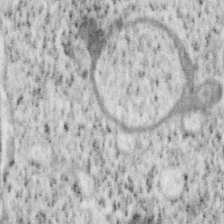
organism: Mouse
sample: OT-I killer T cells with ID8 ovarian cancer cells